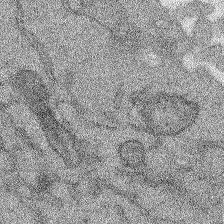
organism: Human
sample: HeLa cells